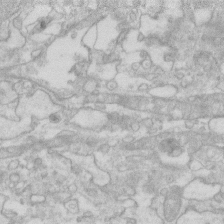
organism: Human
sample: Fibroblast cells